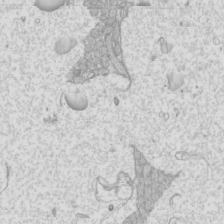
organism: Mouse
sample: Cilia; mouse epididymis